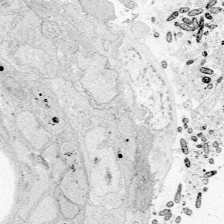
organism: Zebrafish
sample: Whole-Brain